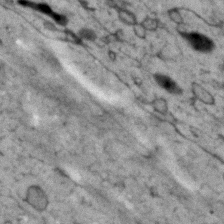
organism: Human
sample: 1205lu cells